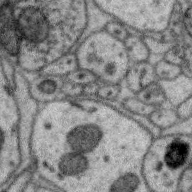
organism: Zebra finch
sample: Brain